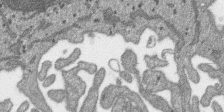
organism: Human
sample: Lung epithelial cells infected with SARS-CoV-2